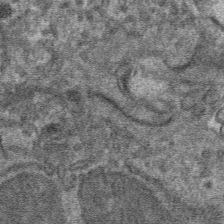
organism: Mouse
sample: Mouse hepatocytes